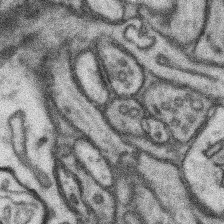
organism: Mouse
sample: Somatosensory cortex neuropil